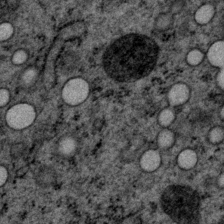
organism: P. pacificus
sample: Pharynx